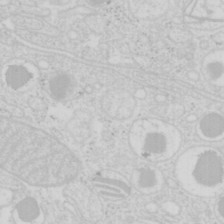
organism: Mouse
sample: Pancreas